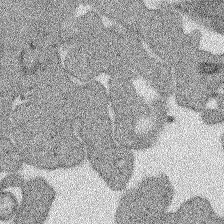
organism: Human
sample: HeLa cells